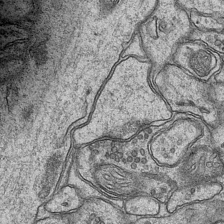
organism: Mouse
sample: CA1 Hippocampus